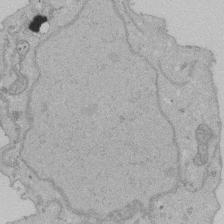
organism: Human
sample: Activated Jurkat CD4+ T cells